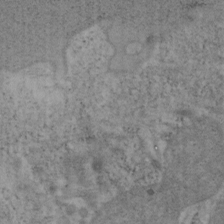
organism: Mouse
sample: OT-I killer T cells with ID8 ovarian cancer cells